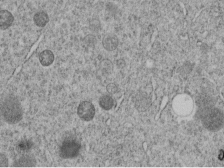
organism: C. elegans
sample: C. elegans embryo early stage